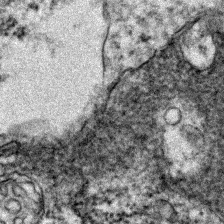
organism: Zebrafish